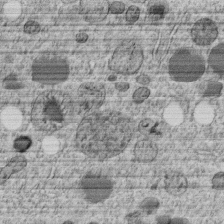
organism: C. elegans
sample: C. elegans embryo early stage